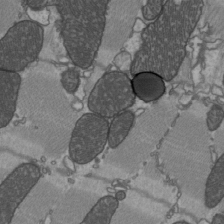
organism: C57BL Mouse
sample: Heart